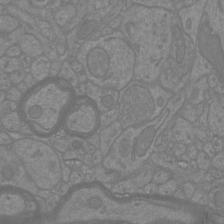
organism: Mouse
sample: Cortical neurons